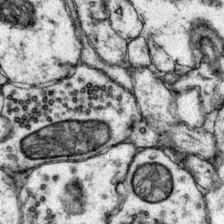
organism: Mouse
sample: Primary visual cortex